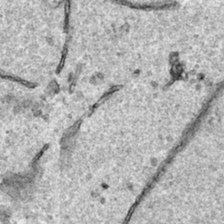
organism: Human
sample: Mitochondria in HCT116 cells